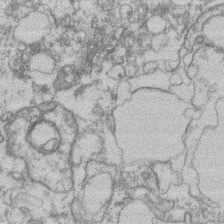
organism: Mouse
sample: T cell stromal cell synapse